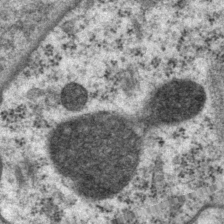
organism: P. pacificus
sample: Pharynx